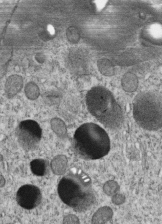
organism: C. elegans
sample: C. elegans embryo early stage